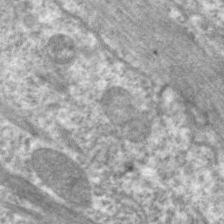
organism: C. elegans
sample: Pharynx